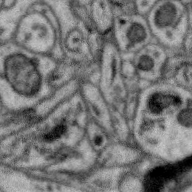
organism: Zebra finch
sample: Brain